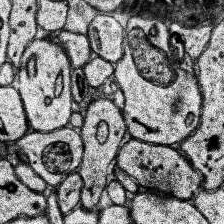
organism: Human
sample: Temporal Lobe